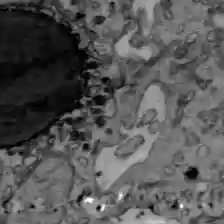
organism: C57BL Mouse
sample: Liver